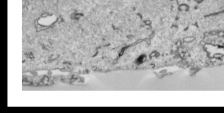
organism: Human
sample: Mitochondria in HCT116 cells